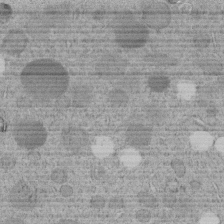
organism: C. elegans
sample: C. elegans embryo early stage